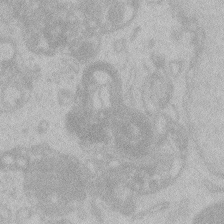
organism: Zebrafish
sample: Macrophage infected with Toxoplasma gondii